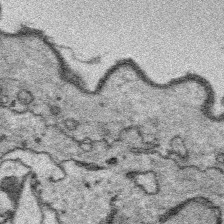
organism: Platynereis dumerilii